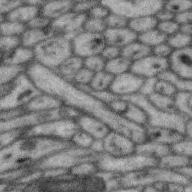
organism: Zebra finch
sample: Brain